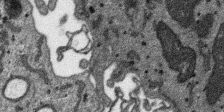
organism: Human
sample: Lung epithelial cells infected with SARS-CoV-2